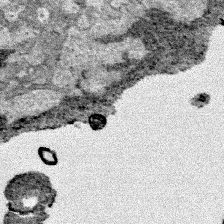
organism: Human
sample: Mitochondria in HCT116 cells